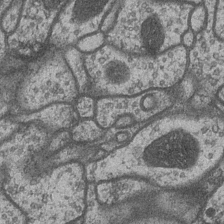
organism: Drosophila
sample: Optic medulla